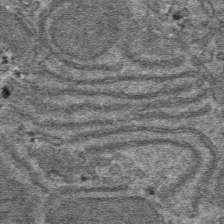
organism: Mouse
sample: Mouse hepatocytes